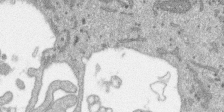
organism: Human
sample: Lung epithelial cells infected with SARS-CoV-2